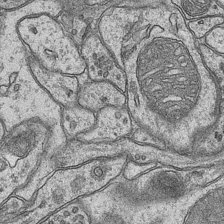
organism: Mouse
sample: CA1 Hippocampus